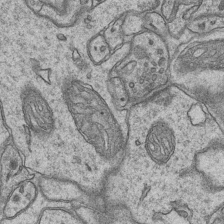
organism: Mouse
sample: CA1 Hippocampus